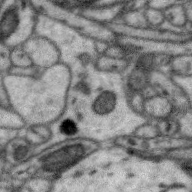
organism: Zebra finch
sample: Brain